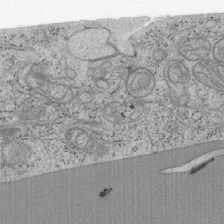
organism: Human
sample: HeLa cells